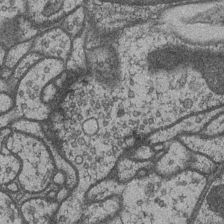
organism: Drosophila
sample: Optic medulla